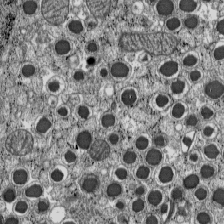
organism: C57BL Mouse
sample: Pancreatic islet